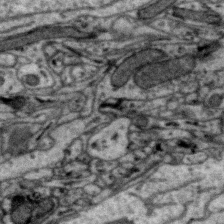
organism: Zebra finch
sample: Brain